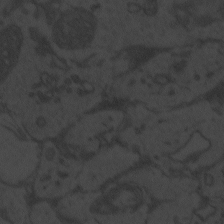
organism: Zebrafish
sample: Macrophage infected with Toxoplasma gondii